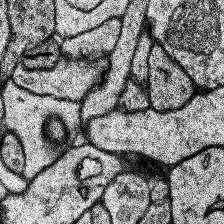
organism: Human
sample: Temporal Lobe